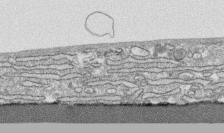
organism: Human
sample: CRL-1474